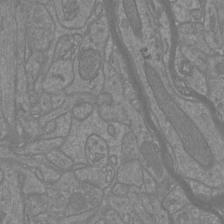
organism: Mouse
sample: Cortical neurons